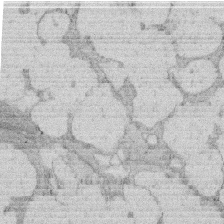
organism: Rat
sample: Salivary granule